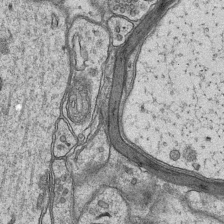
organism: Mouse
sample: CA1 Hippocampus